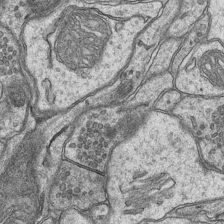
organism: Mouse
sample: CA1 Hippocampus